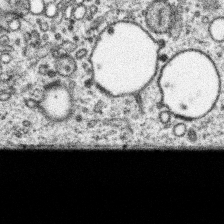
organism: Human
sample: HeLa cells